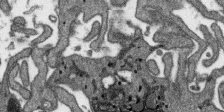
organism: Human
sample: Lung epithelial cells, uninfected (mock) control